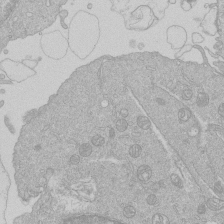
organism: Human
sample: Macrophage cells